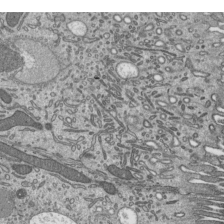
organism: Mouse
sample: Mouse epididymis efferent ductule cilia